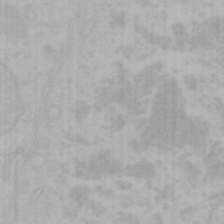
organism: Mouse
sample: Choroid plexus